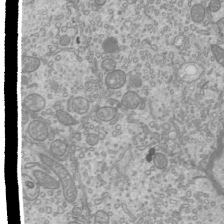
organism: Mouse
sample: Cilia; mouse epididymis